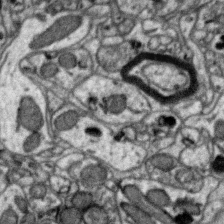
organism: Zebra finch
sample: Brain